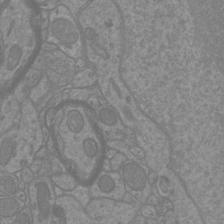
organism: Mouse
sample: Cortical neurons